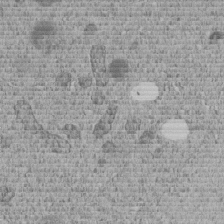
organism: C. elegans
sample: C. elegans embryo early stage